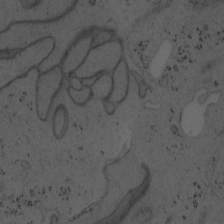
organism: Mouse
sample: OT-I killer T cells with ID8 ovarian cancer cells